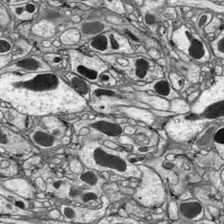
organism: Drosophila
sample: Optic lobe